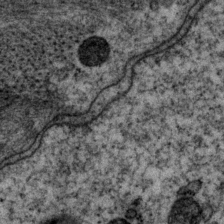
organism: P. pacificus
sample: Pharynx